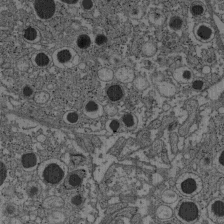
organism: C57BL Mouse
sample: Pancreatic islet